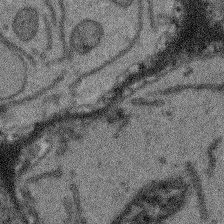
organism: Arabidopsis thaliana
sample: Root tip